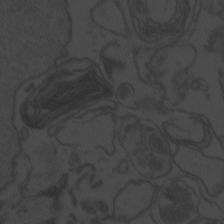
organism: Zebrafish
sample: Macrophage infected with Toxoplasma gondii